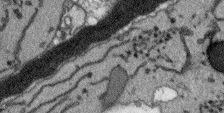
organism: Arabidopsis thaliana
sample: Root tip